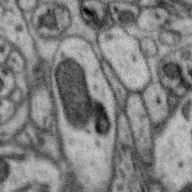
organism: Zebra finch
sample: Brain